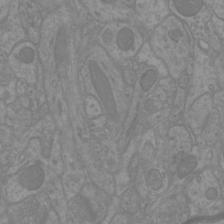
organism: Mouse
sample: Cortical neurons